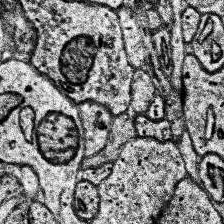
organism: Human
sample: Temporal Lobe